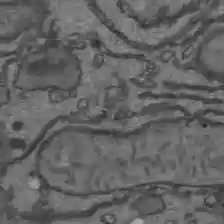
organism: C57BL Mouse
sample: Liver